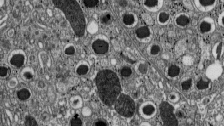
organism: C57BL Mouse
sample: Pancreatic islet